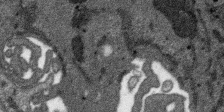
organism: Human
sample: Lung epithelial cells infected with SARS-CoV-2